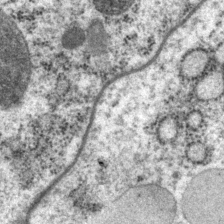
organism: P. pacificus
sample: Pharynx